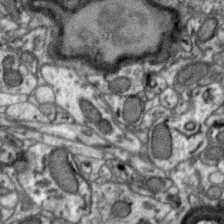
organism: Zebra finch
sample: Brain